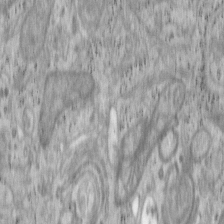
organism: Human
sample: HeLa cells